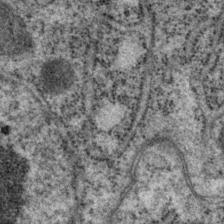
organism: P. pacificus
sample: Pharynx